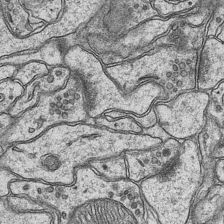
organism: Mouse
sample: CA1 Hippocampus